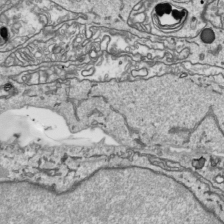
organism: Human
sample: Mitochondria in HCT116 cells